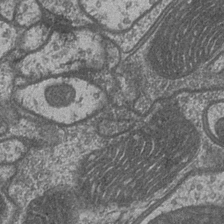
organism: Drosophila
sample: Optic medulla